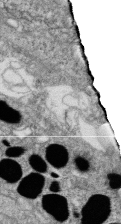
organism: Zebrafish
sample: Cilia; retinal pigment epithelium